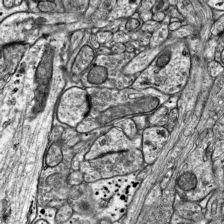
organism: Mouse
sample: Visual Cortex